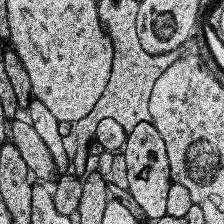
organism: Human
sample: Temporal Lobe